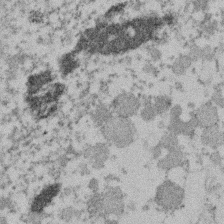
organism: Mouse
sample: Dividing mouse embryo 1 cell stage